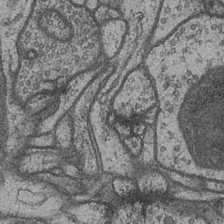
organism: Drosophila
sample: Optic medulla